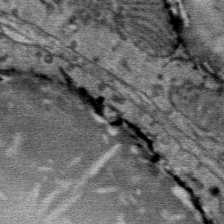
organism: Mouse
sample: Mouse Salivary gland